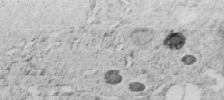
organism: C. elegans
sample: C. elegans embryo early stage